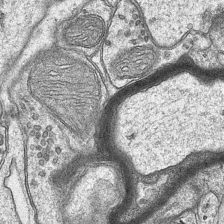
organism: Mouse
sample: CA1 Hippocampus